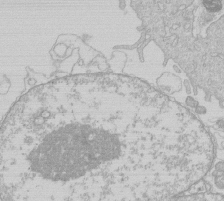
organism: Human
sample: Macrophage cells